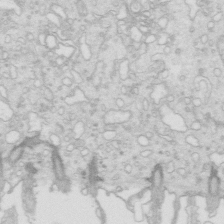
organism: Mouse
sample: Multiciliated cells